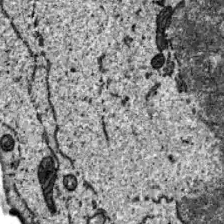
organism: Human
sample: HeLa cells